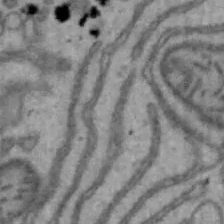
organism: Mouse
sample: Liver